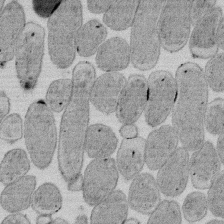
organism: E. coli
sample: Bacterial nucleoid